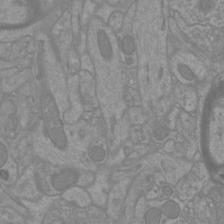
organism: Mouse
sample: Cortical neurons